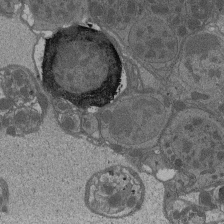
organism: Drosophila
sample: Antenna